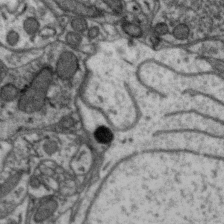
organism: Zebra finch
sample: Brain